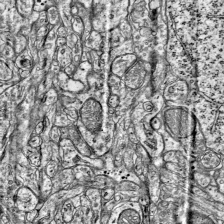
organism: Mouse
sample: Visual Cortex